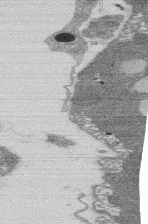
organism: Rat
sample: Salivary granule